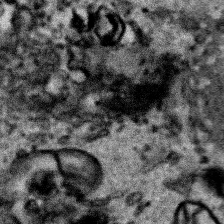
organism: Human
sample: Mitochondria in HCT116 cells